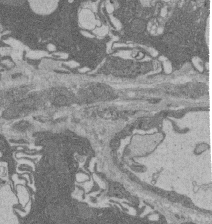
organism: Rat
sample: Salivary granule